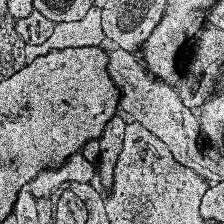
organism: Human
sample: Temporal Lobe